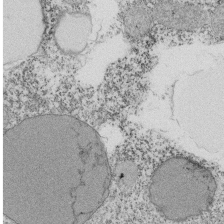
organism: Tetrahymena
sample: Cilia in tetrahymena